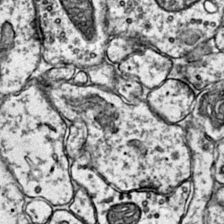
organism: Mouse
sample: Primary visual cortex